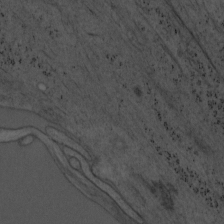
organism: Mouse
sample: OT-I killer T cells with ID8 ovarian cancer cells